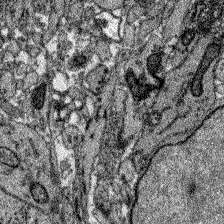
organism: Zebrafish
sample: Larval olfactory bulb